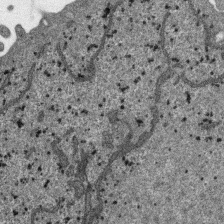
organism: Human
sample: Lung epithelial cells infected with SARS-CoV-2